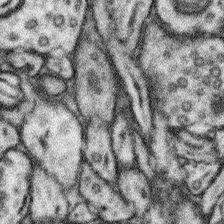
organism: Mouse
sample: Somatosensory cortex neuropil